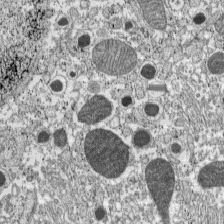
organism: C57BL Mouse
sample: Pancreatic islet